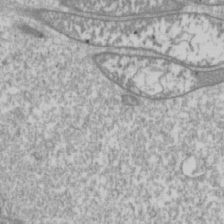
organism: Drosophila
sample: Cell division; meiosis; drosophila spermatocytes